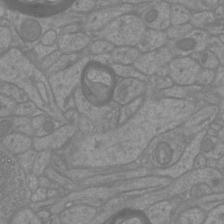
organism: Mouse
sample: Cortical neurons